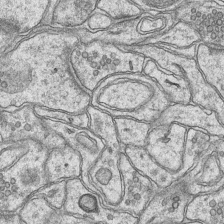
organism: Mouse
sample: CA1 Hippocampus